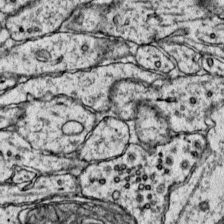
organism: Mouse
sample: Primary visual cortex